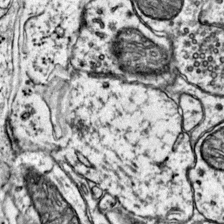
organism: Mouse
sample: Primary visual cortex